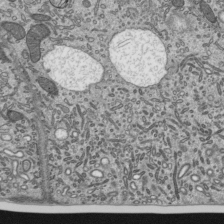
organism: Mouse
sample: Mouse epididymis efferent ductule cilia